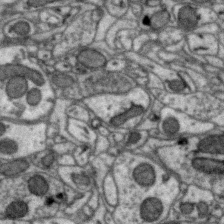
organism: Zebra finch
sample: Brain